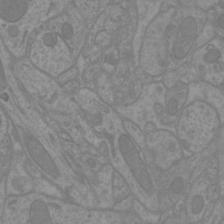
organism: Mouse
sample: Cortical neurons